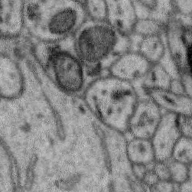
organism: Zebra finch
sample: Brain